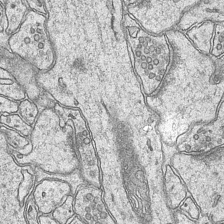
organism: Mouse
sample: CA1 Hippocampus